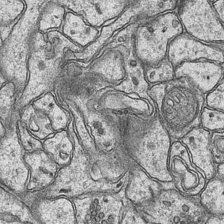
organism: Mouse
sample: CA1 Hippocampus